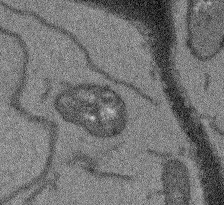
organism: Arabidopsis thaliana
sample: Root tip